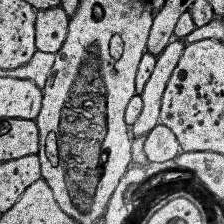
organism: Human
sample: Temporal Lobe